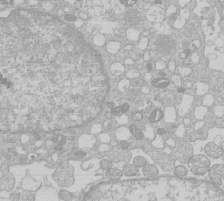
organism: Human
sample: Macrophage cells